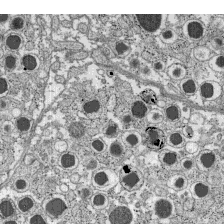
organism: C57BL Mouse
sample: Pancreatic islet